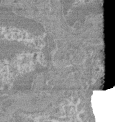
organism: Mouse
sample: Glomerulus